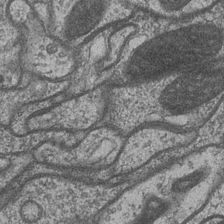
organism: Drosophila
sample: Optic medulla